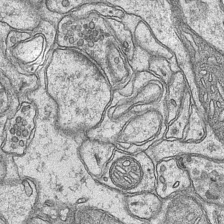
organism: Mouse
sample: CA1 Hippocampus